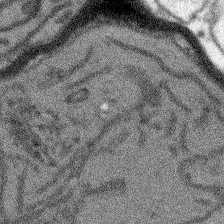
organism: Arabidopsis thaliana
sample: Root tip